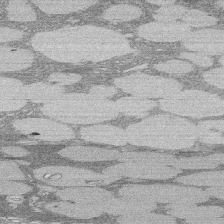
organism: Rat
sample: Salivary granule